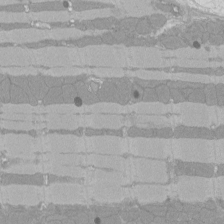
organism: Rat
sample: Left ventricle